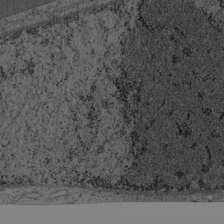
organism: African green monkey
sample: COS-7 cells